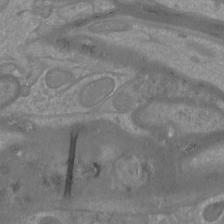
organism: Mouse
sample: Cortical neurons